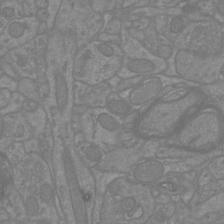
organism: Mouse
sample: Cortical neurons